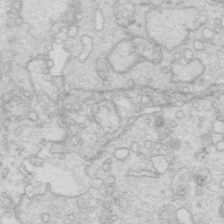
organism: Mouse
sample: Multiciliated cells